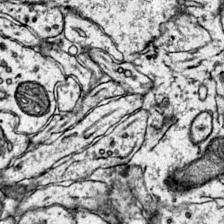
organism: Mouse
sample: Primary visual cortex